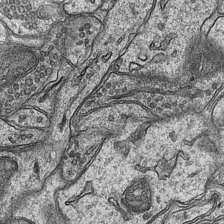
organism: Mouse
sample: CA1 Hippocampus